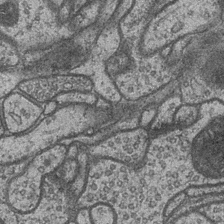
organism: Drosophila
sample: Optic medulla